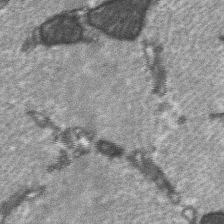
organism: C57BL Mouse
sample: Soleus